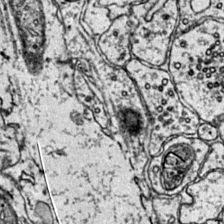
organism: Mouse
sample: Primary visual cortex